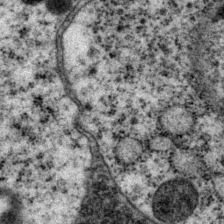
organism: P. pacificus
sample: Pharynx